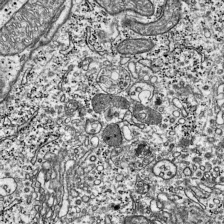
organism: Mouse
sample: Visual Cortex